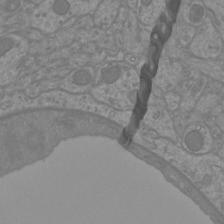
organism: Mouse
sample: Cortical neurons